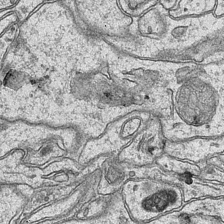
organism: Mouse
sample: CA1 Hippocampus